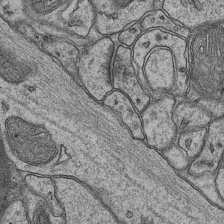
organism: Mouse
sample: CA1 Hippocampus